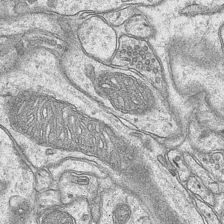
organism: Mouse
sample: CA1 Hippocampus